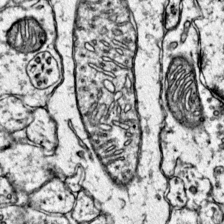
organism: Mouse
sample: Primary visual cortex